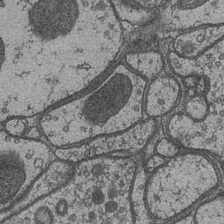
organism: Drosophila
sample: Optic medulla